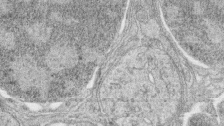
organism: Zebrafish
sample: synaptic ribbons in rod cells and cone cells